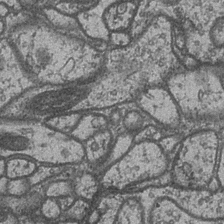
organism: Drosophila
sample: Optic medulla